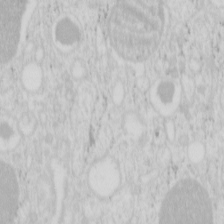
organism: Mouse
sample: Pancreas